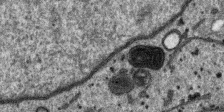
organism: Human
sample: Lung epithelial cells infected with SARS-CoV-2